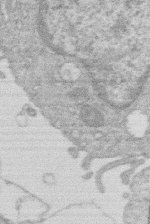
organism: Human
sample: Macrophage cells